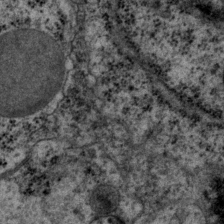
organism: P. pacificus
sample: Pharynx